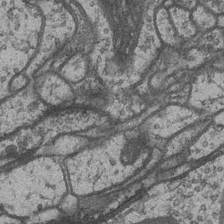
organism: Drosophila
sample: Optic medulla